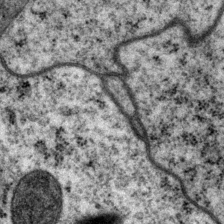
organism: P. pacificus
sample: Pharynx